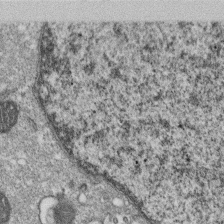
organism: African green monkey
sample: Vero E6 cells infected with SARS-CoV-2